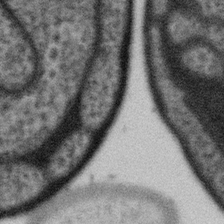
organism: Gemmata obscuriglobus